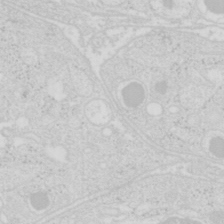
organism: Mouse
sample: Pancreas